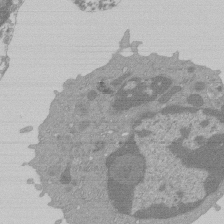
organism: Mouse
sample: Activated Pmel transgenic CD8+ T Cells